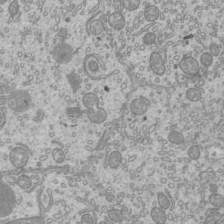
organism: Mouse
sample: Cilia; mouse epididymis